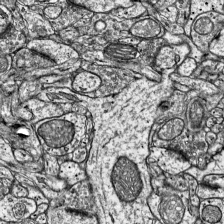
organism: Mouse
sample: Visual Cortex